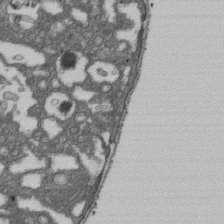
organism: Drosophila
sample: Nephrocyte